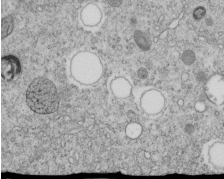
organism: C. elegans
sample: C. elegans embryo early stage